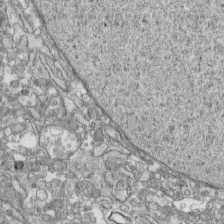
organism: Human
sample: CRL-1474